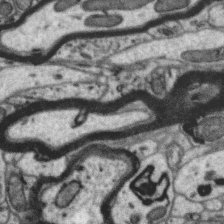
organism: Zebra finch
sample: Brain